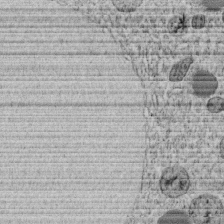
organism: C. elegans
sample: C. elegans embryo early stage